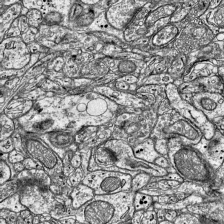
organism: Mouse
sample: Visual Cortex